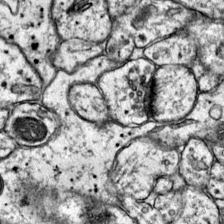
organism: Mouse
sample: Primary visual cortex